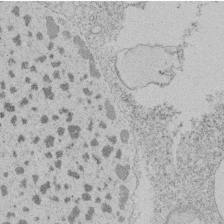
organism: Tetrahymena